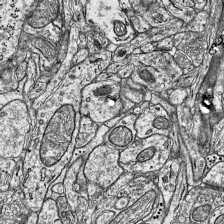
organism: Mouse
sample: Visual Cortex